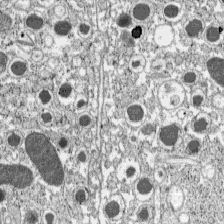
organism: C57BL Mouse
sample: Pancreatic islet